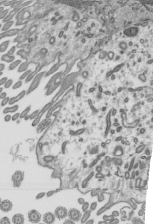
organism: Mouse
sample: Mouse epididymis efferent ductule cilia